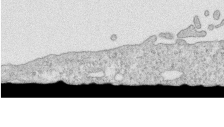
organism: Human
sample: HeLa cell HIV synapse